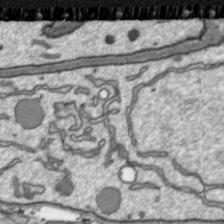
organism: Toxoplasma gondii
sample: Parasites in a vacuole inside a host cell